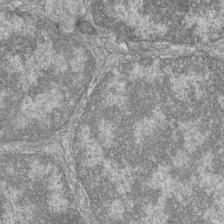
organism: Zebrafish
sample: Cilia; retinal pigment epithelium